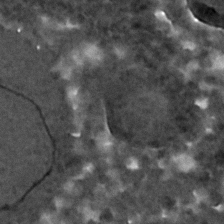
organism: C. elegans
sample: C. elegans embryo